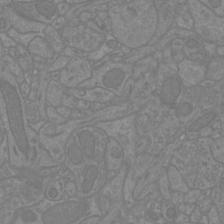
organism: Mouse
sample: Cortical neurons